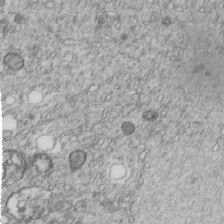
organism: C. elegans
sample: C. elegans embryo early stage